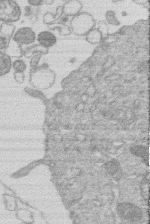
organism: Human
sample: Macrophage cells